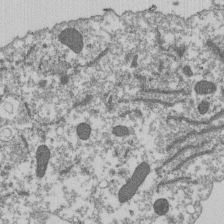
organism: Dictyostelium discoideum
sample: Dictyostelium multivesicular bodies